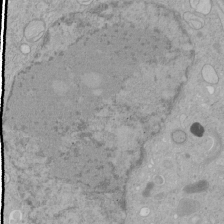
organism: Human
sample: Mitochondria in HCT116 cells